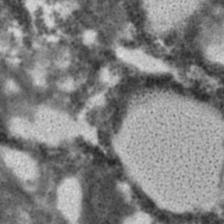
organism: C. elegans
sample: C. elegans embryo